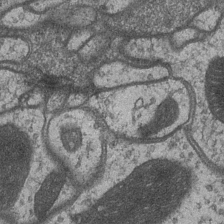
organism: Drosophila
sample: Optic medulla